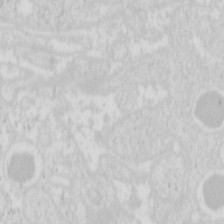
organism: Mouse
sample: Pancreas